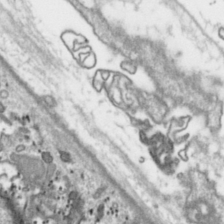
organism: Toxoplasma gondii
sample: Parasites in a vacuole inside a host cell